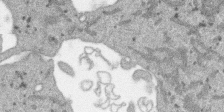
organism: Human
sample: Lung epithelial cells infected with SARS-CoV-2